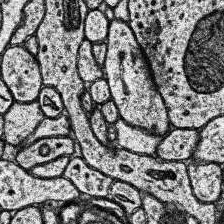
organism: Human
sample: Temporal Lobe